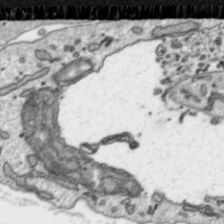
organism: Toxoplasma gondii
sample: Parasites in a vacuole inside a host cell